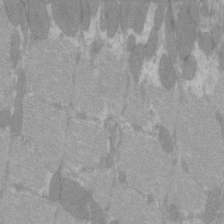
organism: C57BL Mouse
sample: Tibialis anterior muscle cell